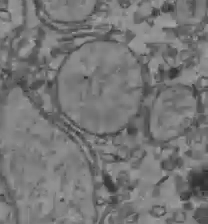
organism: C57BL Mouse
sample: Liver